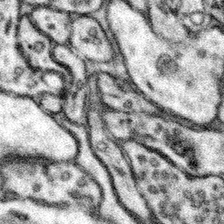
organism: Mouse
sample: Somatosensory cortex neuropil